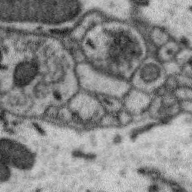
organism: Zebra finch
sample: Brain